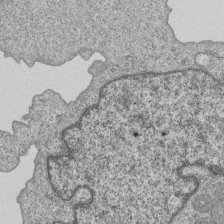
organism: Human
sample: MDA-MB-231 cells